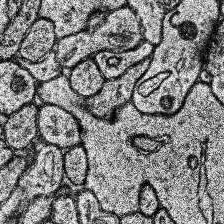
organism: Human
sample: Temporal Lobe